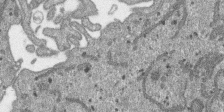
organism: Human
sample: Lung epithelial cells infected with SARS-CoV-2